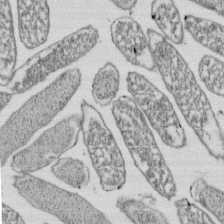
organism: E. coli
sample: Bacterial nucleoid